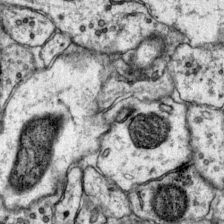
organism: Mouse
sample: Primary visual cortex